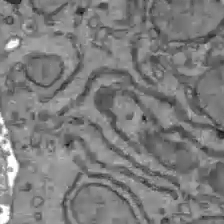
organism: C57BL Mouse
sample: Liver